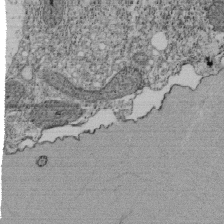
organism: Tetrahymena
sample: Cilia in tetrahymena